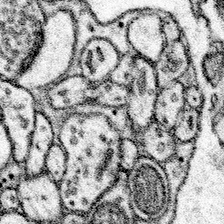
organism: Mouse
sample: Somatosensory cortex neuropil